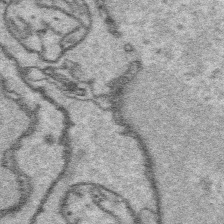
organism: Platynereis dumerilii